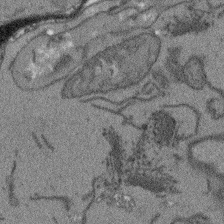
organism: Arabidopsis thaliana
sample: Root tip